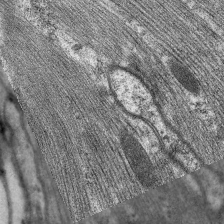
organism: C. elegans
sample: Pharynx